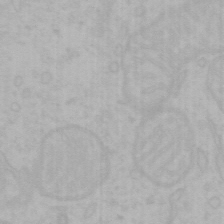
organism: Mouse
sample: Choroid plexus